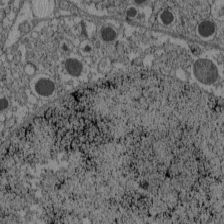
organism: C57BL Mouse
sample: Pancreatic islet